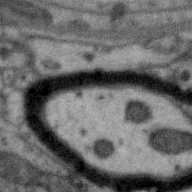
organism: Zebra finch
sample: Brain